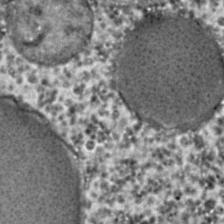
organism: C. elegans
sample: C. elegans embryo